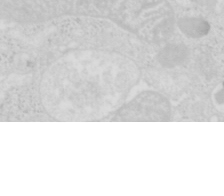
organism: Mouse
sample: Pancreas